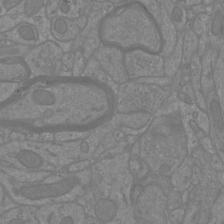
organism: Mouse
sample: Cortical neurons